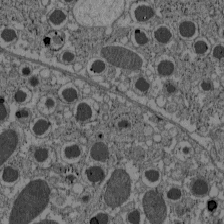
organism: C57BL Mouse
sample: Pancreatic islet